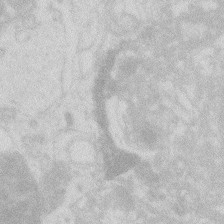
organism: Zebrafish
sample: Macrophage